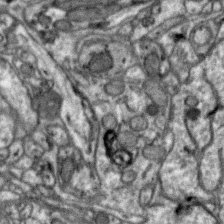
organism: Zebra finch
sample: Brain